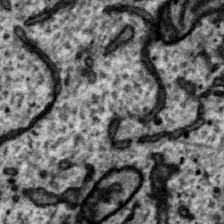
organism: Human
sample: HeLa cells